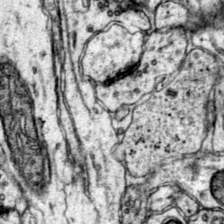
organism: Mouse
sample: Primary visual cortex